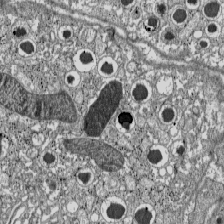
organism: C57BL Mouse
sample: Pancreatic islet